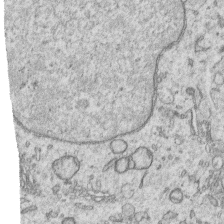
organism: Human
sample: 1205lu cells